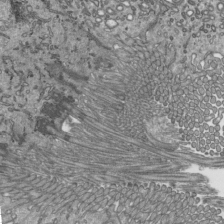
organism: Mouse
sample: Mouse epididymis efferent ductule cilia